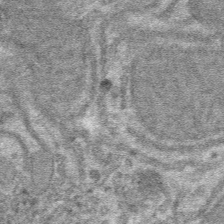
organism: Mouse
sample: Mouse hepatocytes